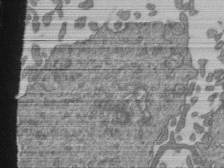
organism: Human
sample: Retinal organoid Rod and Cone cells